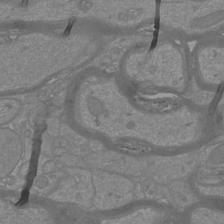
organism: Mouse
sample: Cortical neurons